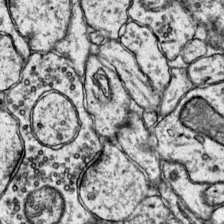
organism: Mouse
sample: Primary visual cortex